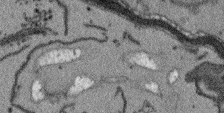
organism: Arabidopsis thaliana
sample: Root tip